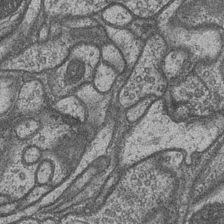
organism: Drosophila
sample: Optic medulla